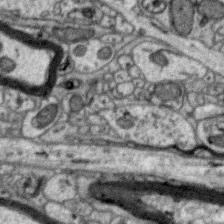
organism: Zebra finch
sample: Brain